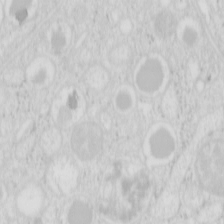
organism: Mouse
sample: Pancreas